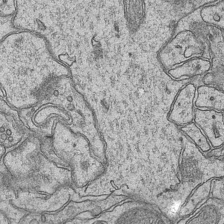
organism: Mouse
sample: CA1 Hippocampus